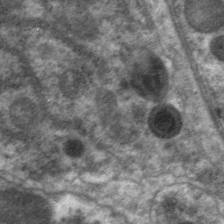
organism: C. elegans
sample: Pharynx